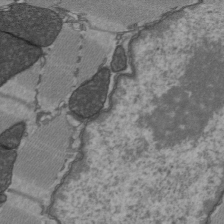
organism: C57BL Mouse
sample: Heart